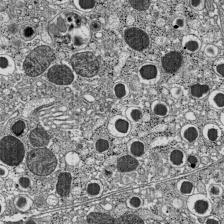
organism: C57BL Mouse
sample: Pancreatic islet